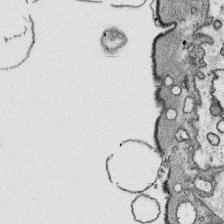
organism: Platynereis dumerilii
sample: Parapodia